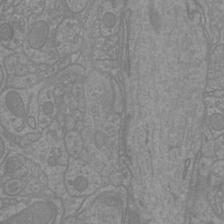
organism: Mouse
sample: Cortical neurons